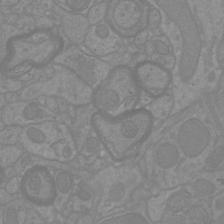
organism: Mouse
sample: Cortical neurons